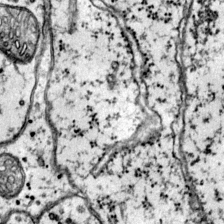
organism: Mouse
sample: Primary visual cortex